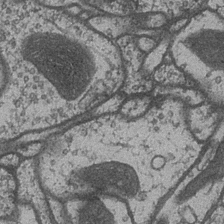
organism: Drosophila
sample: Optic medulla